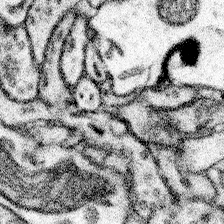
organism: Mouse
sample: Somatosensory cortex neuropil